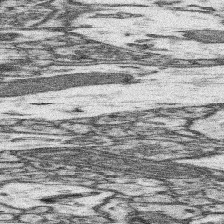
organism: Mouse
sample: Somatosensory cortex neuropil